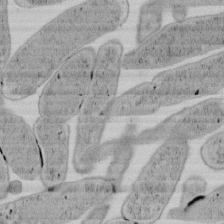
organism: E. coli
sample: Bacterial nucleoid